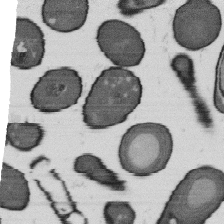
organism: B. subtilis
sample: Bacterial spore